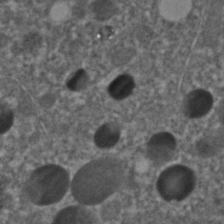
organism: C. elegans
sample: C. elegans embryo